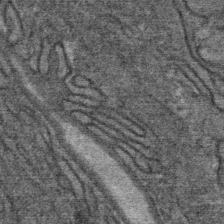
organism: Mouse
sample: Mouse Salivary gland